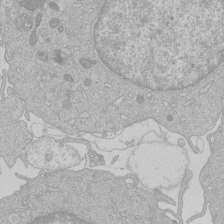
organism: Human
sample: Macrophage cells